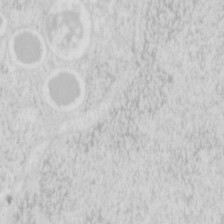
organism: Mouse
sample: Pancreas